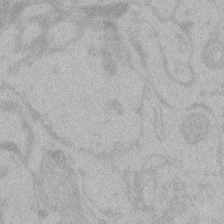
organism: Zebrafish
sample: Macrophage infected with Toxoplasma gondii